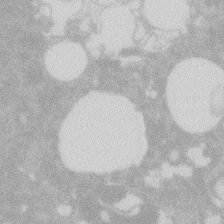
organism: Zebrafish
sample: Macrophage